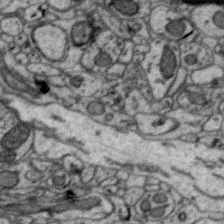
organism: Zebra finch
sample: Brain